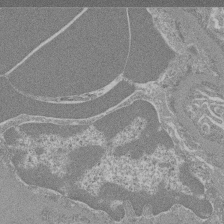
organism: Mouse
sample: Glomerulus